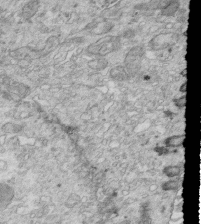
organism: Mouse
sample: Multiciliated cells